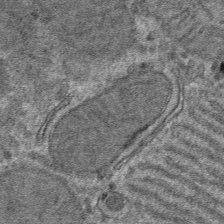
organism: Mouse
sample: Mouse hepatocytes